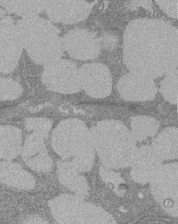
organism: Rat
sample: Salivary granule